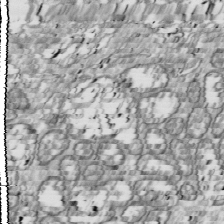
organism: Drosophila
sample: Cell division; meiosis; drosophila spermatocytes